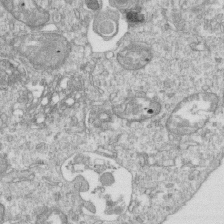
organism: Mouse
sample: Activated OT-1 CD8+ T cells